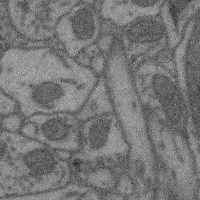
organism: Mouse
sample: Cerebral cortex